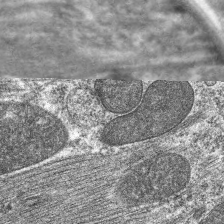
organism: C. elegans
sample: Pharynx